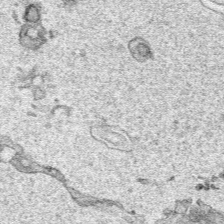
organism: Human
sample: Mitochondria in HCT116 cells